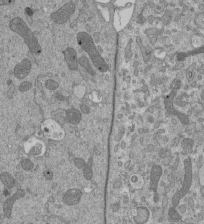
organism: Mouse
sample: ED-1 cell nuclei; centrioles